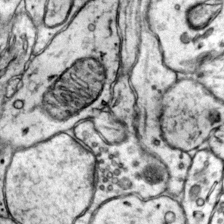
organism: Mouse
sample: Primary visual cortex